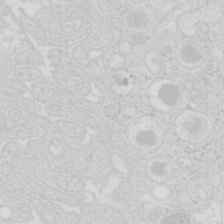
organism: Mouse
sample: Pancreas